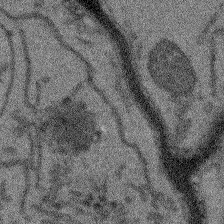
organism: Arabidopsis thaliana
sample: Root tip